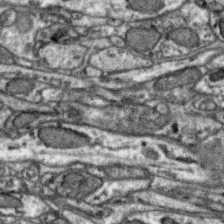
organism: Zebra finch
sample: Brain